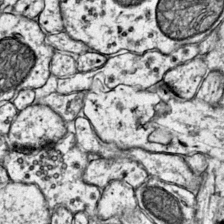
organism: Mouse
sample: Primary visual cortex